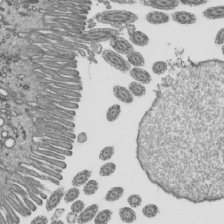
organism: Mouse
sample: Mouse epididymis efferent ductule cilia